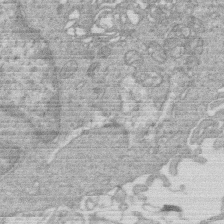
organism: Human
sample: Macrophage cells